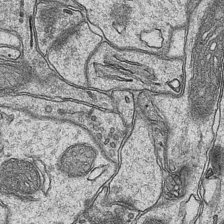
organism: Mouse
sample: CA1 Hippocampus